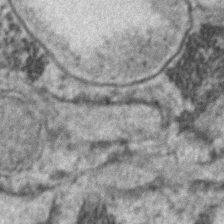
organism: Human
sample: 1205lu cells